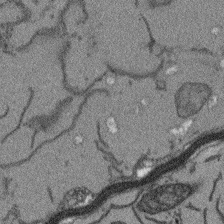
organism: Arabidopsis thaliana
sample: Root tip